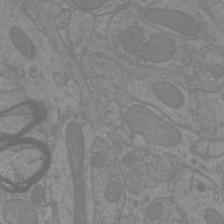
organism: Mouse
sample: Cortical neurons